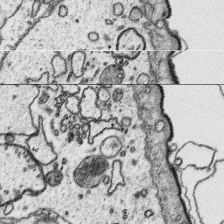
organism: Platynereis dumerilii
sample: Parapodia